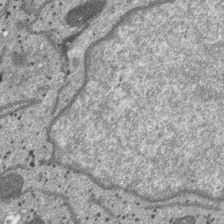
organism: Human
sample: Lung epithelial cells infected with SARS-CoV-2